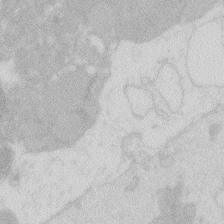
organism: Zebrafish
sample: Macrophage